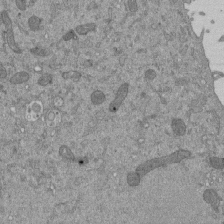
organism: Mouse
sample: ED-1 cell nuclei; centrioles